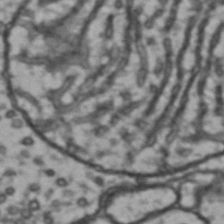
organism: Drosophila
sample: Brain